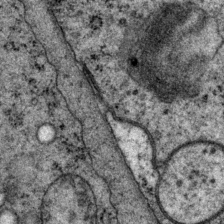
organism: P. pacificus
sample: Pharynx